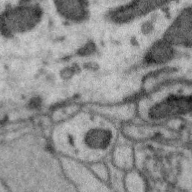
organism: Zebra finch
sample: Brain